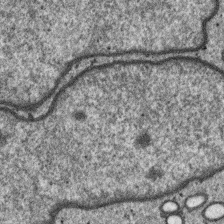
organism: Human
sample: Lung epithelial cells infected with SARS-CoV-2